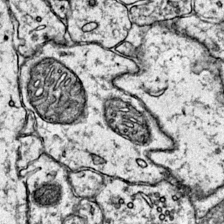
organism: Mouse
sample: Primary visual cortex